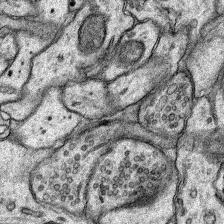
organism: Rat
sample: Hippocampus